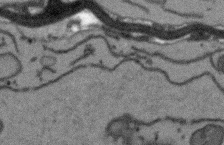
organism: Arabidopsis thaliana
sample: Root tip